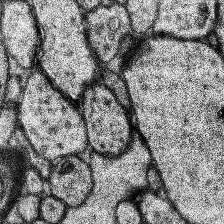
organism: Human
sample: Temporal Lobe